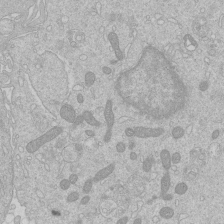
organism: Human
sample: Macrophage cells